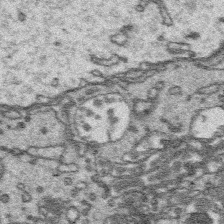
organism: Platynereis dumerilii